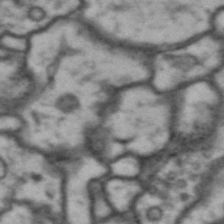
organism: Drosophila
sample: Brain